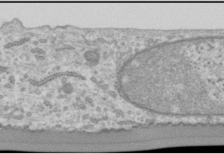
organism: Human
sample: Cilia; basal body in RPE cells